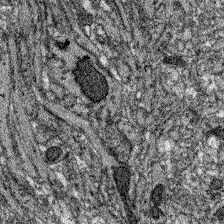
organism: Zebrafish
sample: Larval olfactory bulb